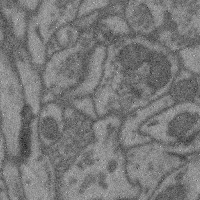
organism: Mouse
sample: Cerebral cortex